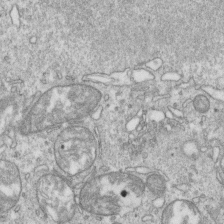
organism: Mouse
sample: Activated OT-1 CD8+ T cells